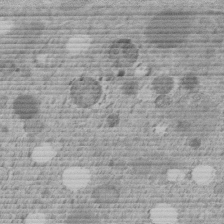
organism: C. elegans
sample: C. elegans embryo early stage